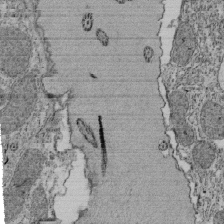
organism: Tetrahymena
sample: Cilia in tetrahymena